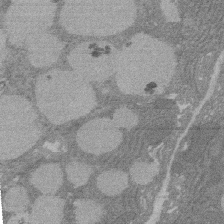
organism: Rat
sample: Salivary granule